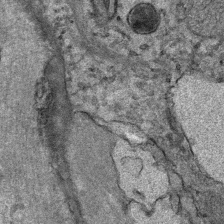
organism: Mouse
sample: Mouse Salivary gland